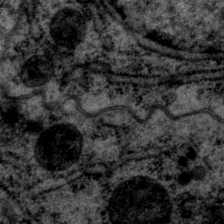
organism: P. pacificus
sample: Pharynx